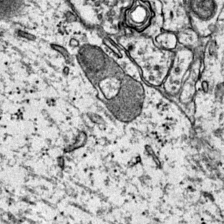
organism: Mouse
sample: Primary visual cortex